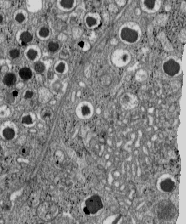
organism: C57BL Mouse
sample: Pancreatic islet